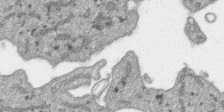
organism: Human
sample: Lung epithelial cells infected with SARS-CoV-2